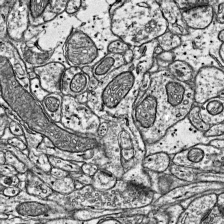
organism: Mouse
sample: Visual Cortex